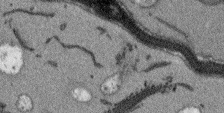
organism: Arabidopsis thaliana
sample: Root tip